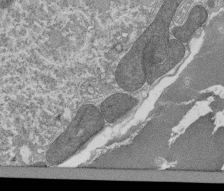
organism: Tetrahymena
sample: Cilia in tetrahymena